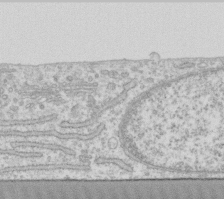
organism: Human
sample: Fibroblast cells